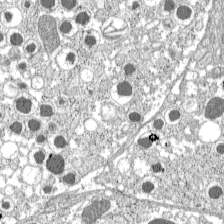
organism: C57BL Mouse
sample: Pancreatic islet